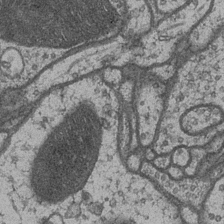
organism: Drosophila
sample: Optic medulla